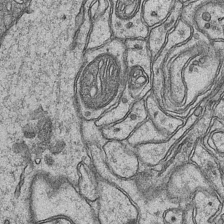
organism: Mouse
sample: CA1 Hippocampus